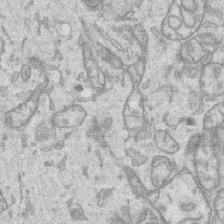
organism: Human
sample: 1205lu cells